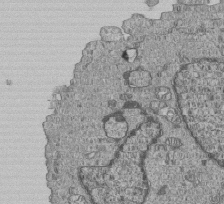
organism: Human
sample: MDA-MB-231 cells